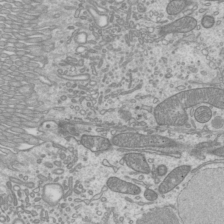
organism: Mouse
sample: Cilia; mouse epididymis